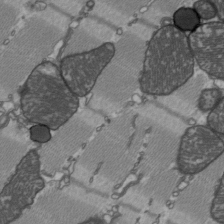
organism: C57BL Mouse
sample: Heart